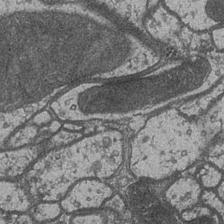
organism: Drosophila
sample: Optic medulla